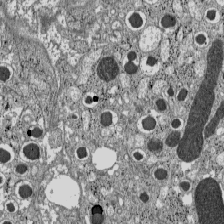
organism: C57BL Mouse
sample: Pancreatic islet